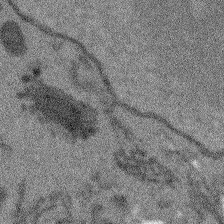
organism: Arabidopsis thaliana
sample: Root tip